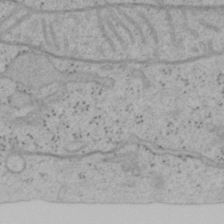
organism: Human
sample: HeLa cells